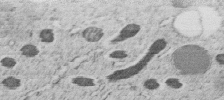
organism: C. elegans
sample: C. elegans embryo early stage